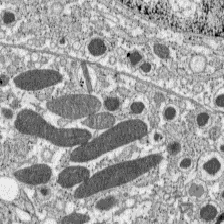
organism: C57BL Mouse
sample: Pancreatic islet